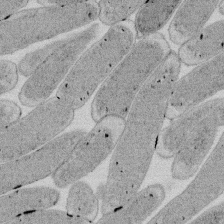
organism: E. coli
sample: Bacterial nucleoid